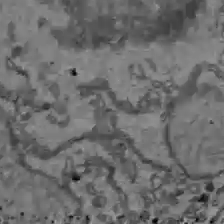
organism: C57BL Mouse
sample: Liver